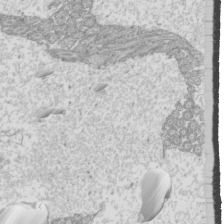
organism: Mouse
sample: Cilia; mouse epididymis